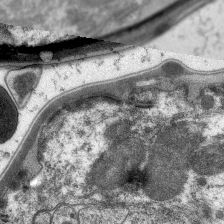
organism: C. elegans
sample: Pharynx